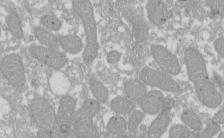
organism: Xenopus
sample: Cilia; centrioles in frog embryo cells